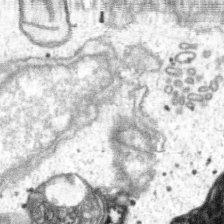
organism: Human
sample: HeLa cells